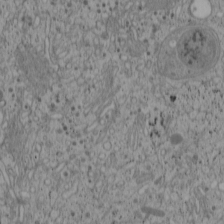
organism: African green monkey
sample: COS-7 cells